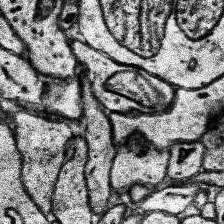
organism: Human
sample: Temporal Lobe